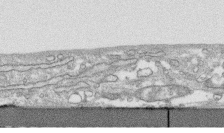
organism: Human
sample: CRL-1474